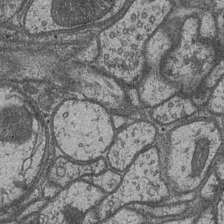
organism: Drosophila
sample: Optic medulla